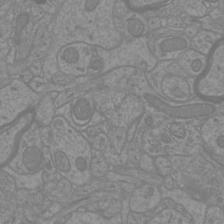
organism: Mouse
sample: Cortical neurons